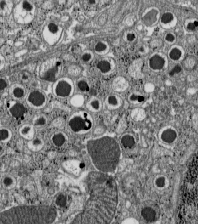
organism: C57BL Mouse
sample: Pancreatic islet